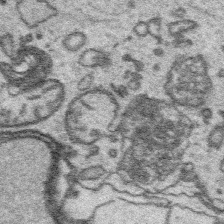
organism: Platynereis dumerilii